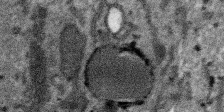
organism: Human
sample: Lung epithelial cells infected with SARS-CoV-2